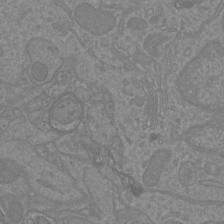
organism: Mouse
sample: Cortical neurons